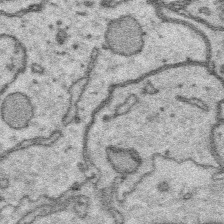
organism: Platynereis dumerilii